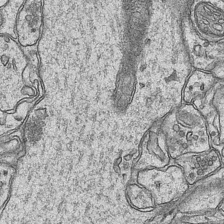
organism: Mouse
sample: CA1 Hippocampus